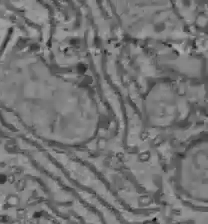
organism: C57BL Mouse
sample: Liver